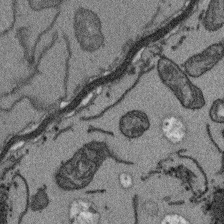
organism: Arabidopsis thaliana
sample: Root tip